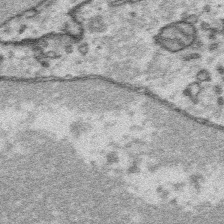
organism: Platynereis dumerilii